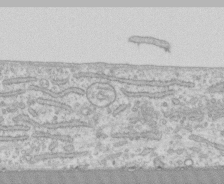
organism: Human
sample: CRL-1474